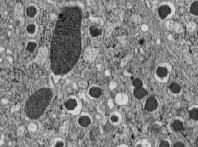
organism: C57BL Mouse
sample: Pancreatic islet